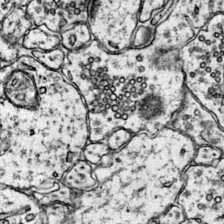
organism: Mouse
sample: Primary visual cortex